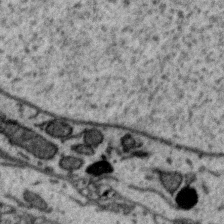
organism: Zebra finch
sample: Brain